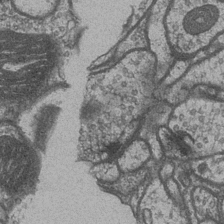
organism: Drosophila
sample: Optic medulla